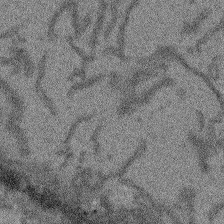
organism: Arabidopsis thaliana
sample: Root tip